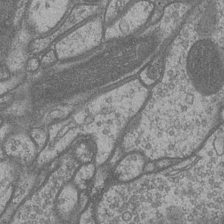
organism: Drosophila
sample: Optic medulla